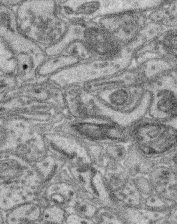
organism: Mouse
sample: Retina